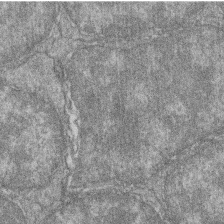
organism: Zebrafish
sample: Cilia; retinal pigment epithelium